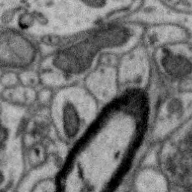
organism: Zebra finch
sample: Brain